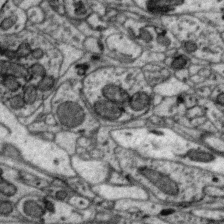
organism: Zebra finch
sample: Brain